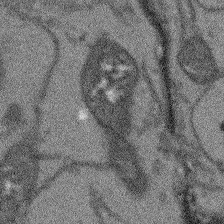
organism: Arabidopsis thaliana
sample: Root tip